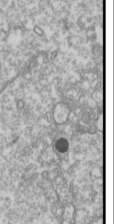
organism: Drosophila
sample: Cell division; meiosis; drosophila spermatocytes